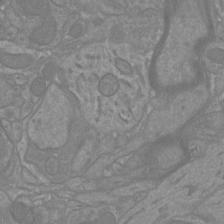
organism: Mouse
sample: Cortical neurons